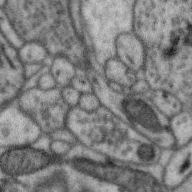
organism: Zebra finch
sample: Brain